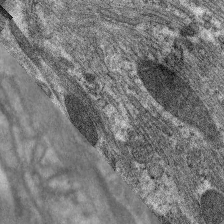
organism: C. elegans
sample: Pharynx